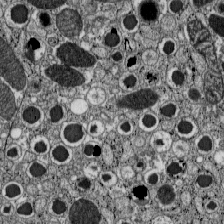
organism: C57BL Mouse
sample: Pancreatic islet